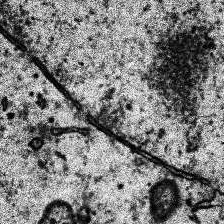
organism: Human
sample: Temporal Lobe